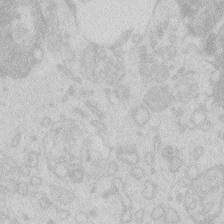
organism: Zebrafish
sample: Macrophage